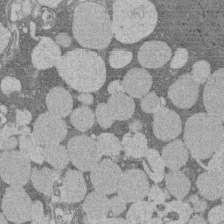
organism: Rat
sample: Salivary granule